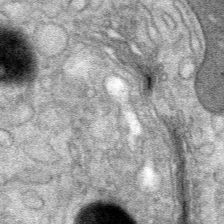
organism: Mouse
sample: Mouse Salivary gland